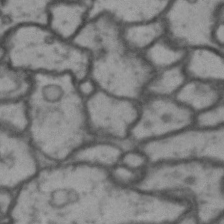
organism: Drosophila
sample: Brain